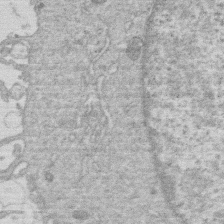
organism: Human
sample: Macrophage cells